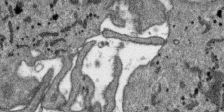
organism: Human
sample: Lung epithelial cells, uninfected (mock) control